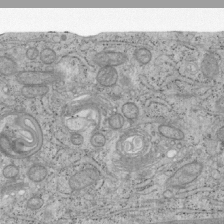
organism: Human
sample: HeLa cells